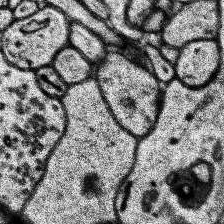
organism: Human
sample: Temporal Lobe